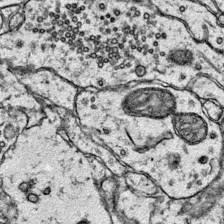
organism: Mouse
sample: Primary visual cortex